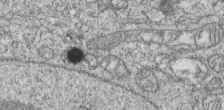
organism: Human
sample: HeLa cell HIV synapse